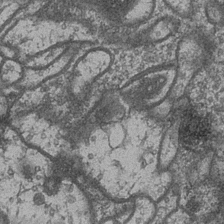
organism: Drosophila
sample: Optic medulla